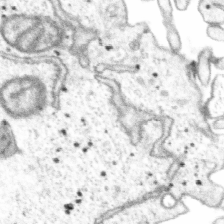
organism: Human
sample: HeLa cells